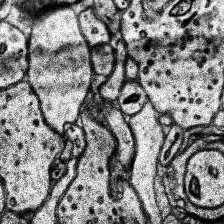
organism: Human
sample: Temporal Lobe